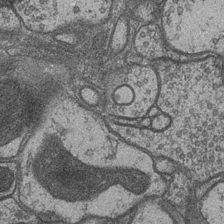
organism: Drosophila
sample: Optic medulla